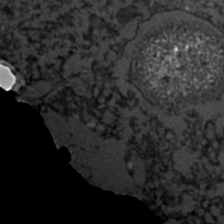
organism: C. elegans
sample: C. elegans embryo